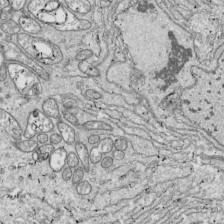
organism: Drosophila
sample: Cell division; meiosis; drosophila spermatocytes